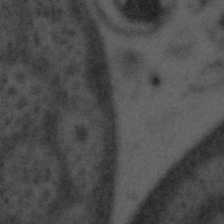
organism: Tuwongella immobilis